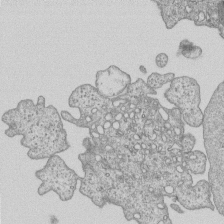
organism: Human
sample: MDA-MB-231 cells